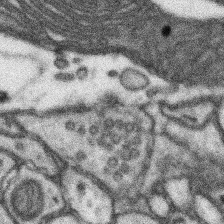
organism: Mouse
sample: Somatosensory cortex neuropil